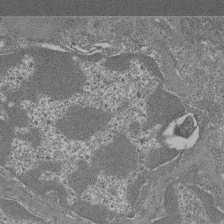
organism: Mouse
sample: Glomerulus